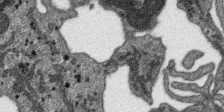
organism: Human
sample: Lung epithelial cells infected with SARS-CoV-2